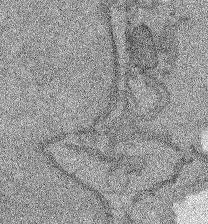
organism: Human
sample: HeLa cells